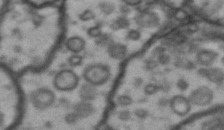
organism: Drosophila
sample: Brain